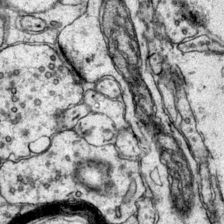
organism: Mouse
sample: Primary visual cortex